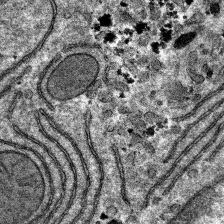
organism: Mouse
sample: Mouse hepatocytes